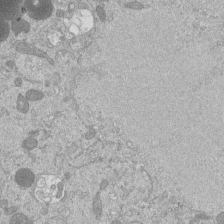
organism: Mouse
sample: ED-1 cell nuclei; centrioles